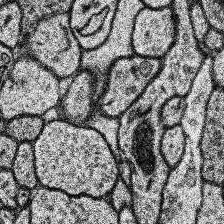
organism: Human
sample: Temporal Lobe